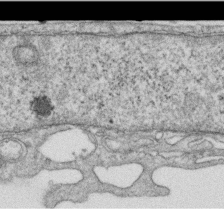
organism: Human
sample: Centriole in RPE cells